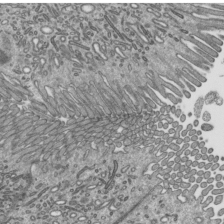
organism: Mouse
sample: Mouse epididymis efferent ductule cilia